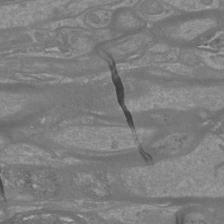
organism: Mouse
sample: Cortical neurons